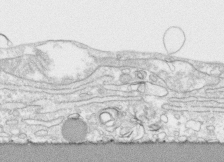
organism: Human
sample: CRL-1474